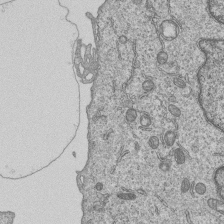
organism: Human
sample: MDA-MB-231 cells